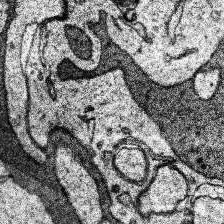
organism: Human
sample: Temporal Lobe